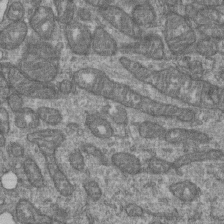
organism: Human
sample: Retinal organoid Rod and Cone cells